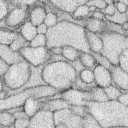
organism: Rabbit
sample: Retina